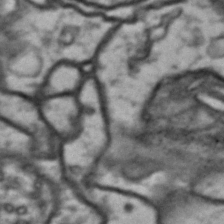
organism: Drosophila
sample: Brain